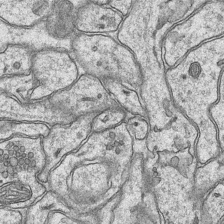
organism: Mouse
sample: CA1 Hippocampus